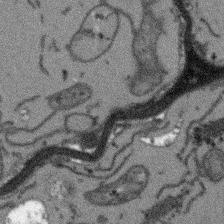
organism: Arabidopsis thaliana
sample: Root tip